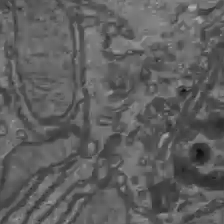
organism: C57BL Mouse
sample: Liver